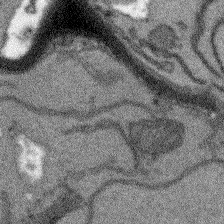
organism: Arabidopsis thaliana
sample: Root tip